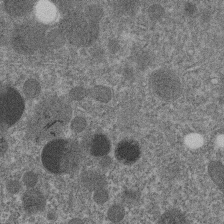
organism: C. elegans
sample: C. elegans embryo early stage